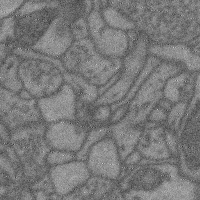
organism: Mouse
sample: Cerebral cortex